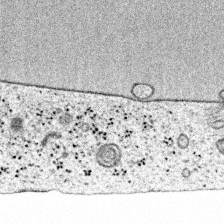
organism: Human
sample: HeLa cells